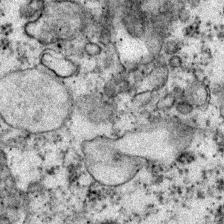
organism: Zebrafish